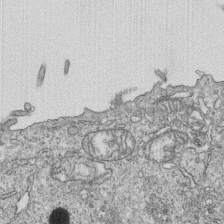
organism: Human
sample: HeLa cell HIV synapse